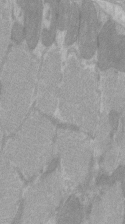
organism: C57BL Mouse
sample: Tibialis anterior muscle cell